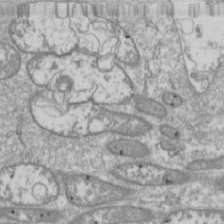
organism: Drosophila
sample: Cell division; meiosis; drosophila spermatocytes